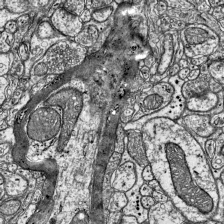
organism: Mouse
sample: Visual Cortex